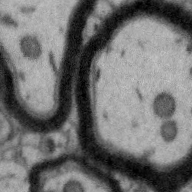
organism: Zebra finch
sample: Brain